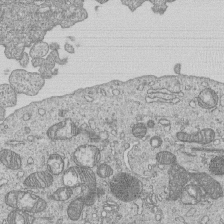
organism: Human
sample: MDA-MB-231 cells